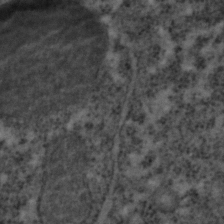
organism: C. elegans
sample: C. elegans embryo